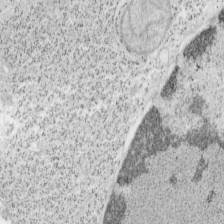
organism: Mouse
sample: OT-I killer T cells with ID8 ovarian cancer cells